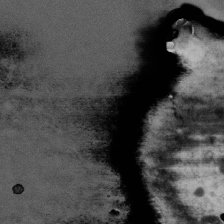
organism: Human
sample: U2-OS cells